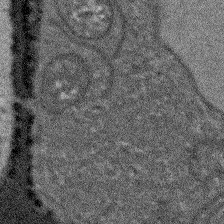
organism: Arabidopsis thaliana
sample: Root tip